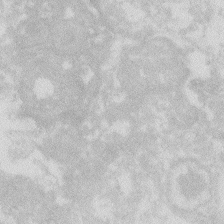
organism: Zebrafish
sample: Macrophage